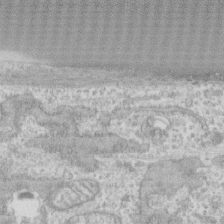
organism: Human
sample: CRL-1474